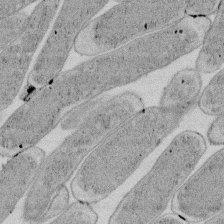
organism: E. coli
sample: Bacterial nucleoid